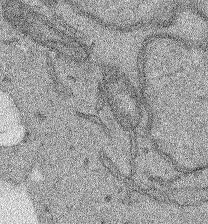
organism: Human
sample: HeLa cells